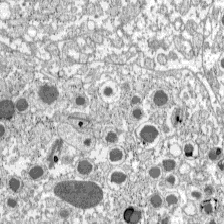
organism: C57BL Mouse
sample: Pancreatic islet